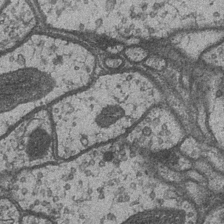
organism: Drosophila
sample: Optic medulla